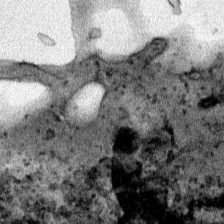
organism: Human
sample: Mitochondria in HCT116 cells